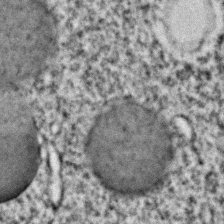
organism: C. elegans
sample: C. elegans embryo